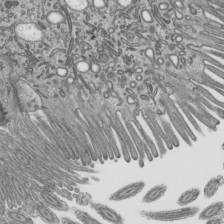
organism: Mouse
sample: Mouse epididymis efferent ductule cilia